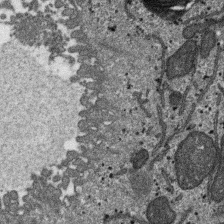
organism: Human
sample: Lung epithelial cells infected with SARS-CoV-2